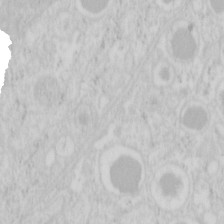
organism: Mouse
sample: Pancreas